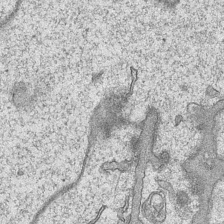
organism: Mouse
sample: CA1 Hippocampus